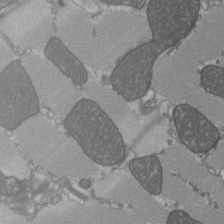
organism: C57BL Mouse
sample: Heart